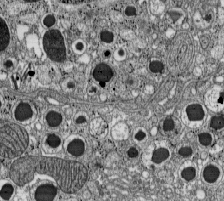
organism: C57BL Mouse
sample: Pancreatic islet